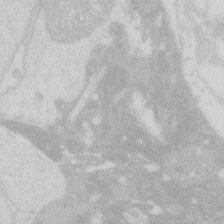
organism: Zebrafish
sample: Macrophage